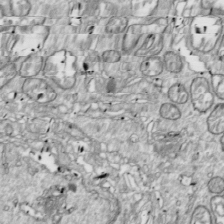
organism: Drosophila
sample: Cell division; meiosis; drosophila spermatocytes